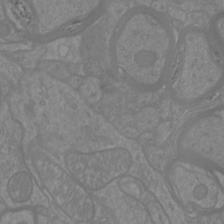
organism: Mouse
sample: Cortical neurons